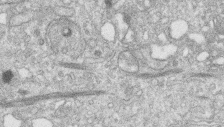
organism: Human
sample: HeLa cell HIV synapse